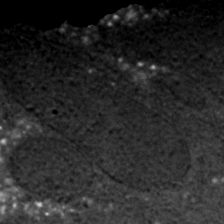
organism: C. elegans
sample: C. elegans embryo